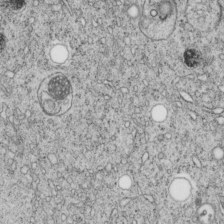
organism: C. elegans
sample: C. elegans embryo early stage